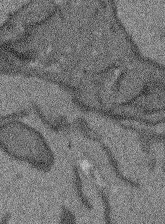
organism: Arabidopsis thaliana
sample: Root tip